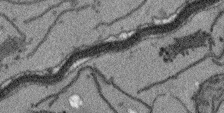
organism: Arabidopsis thaliana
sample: Root tip